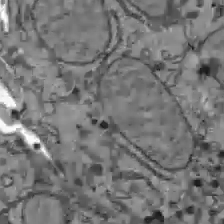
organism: C57BL Mouse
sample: Liver